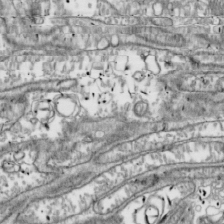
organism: Drosophila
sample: Cell division; meiosis; drosophila spermatocytes